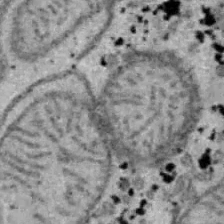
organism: Mouse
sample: Liver from an obese (ob/ob) mouse